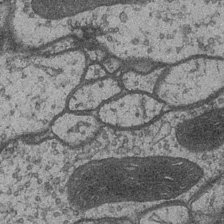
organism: Drosophila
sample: Optic medulla